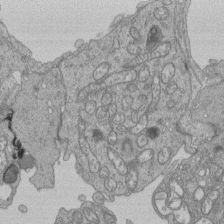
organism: Human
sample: Retinal organoid Rod and Cone cells